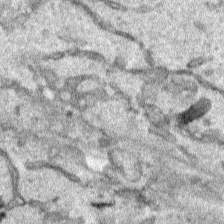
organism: Human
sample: Mitochondria in HCT116 cells